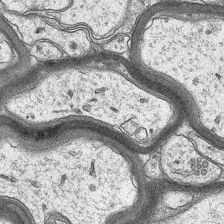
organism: Mouse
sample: CA1 Hippocampus